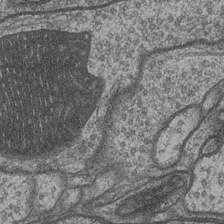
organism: Drosophila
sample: Optic medulla